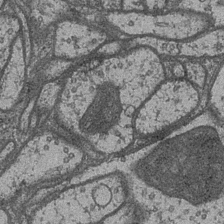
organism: Drosophila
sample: Optic medulla